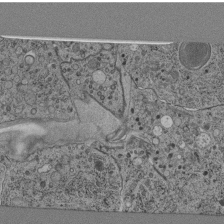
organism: C. elegans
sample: C. elegans pharynx